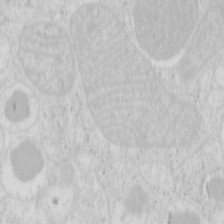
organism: Mouse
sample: Pancreas